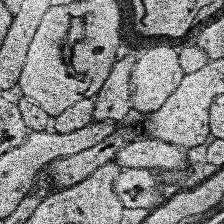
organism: Human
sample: Temporal Lobe